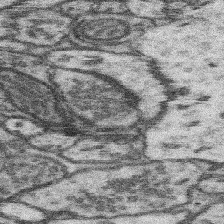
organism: Mouse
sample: Somatosensory cortex neuropil